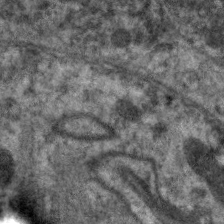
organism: C. elegans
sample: Pharynx